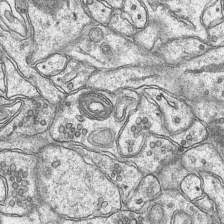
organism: Mouse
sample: CA1 Hippocampus